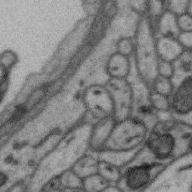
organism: Zebra finch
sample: Brain